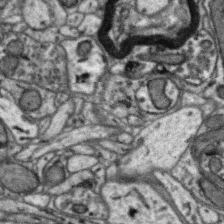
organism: Zebra finch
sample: Brain